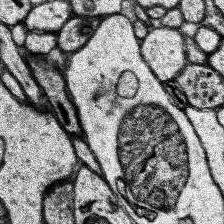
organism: Human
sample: Temporal Lobe